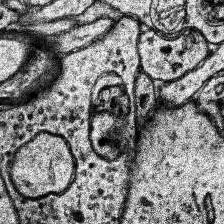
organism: Human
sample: Temporal Lobe